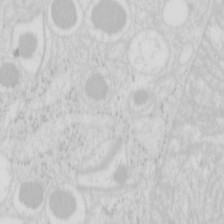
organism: Mouse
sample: Pancreas